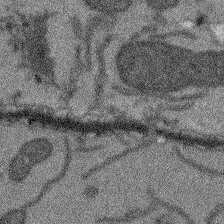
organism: Arabidopsis thaliana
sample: Root tip